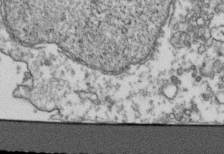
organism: Human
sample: Activated Jurkat CD4+ T cells